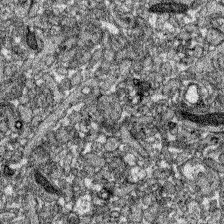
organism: Zebrafish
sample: Larval olfactory bulb